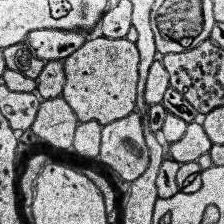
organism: Human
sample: Temporal Lobe